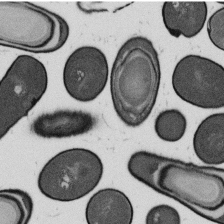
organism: B. subtilis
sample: Bacterial spore